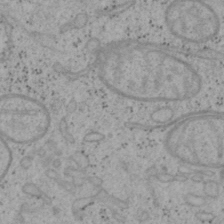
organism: Human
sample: HeLa cells